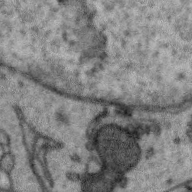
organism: Zebra finch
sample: Brain